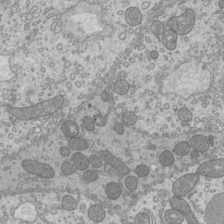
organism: Mouse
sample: Cilia; mouse epididymis